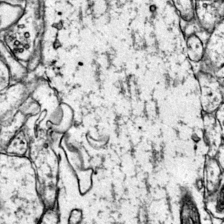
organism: Mouse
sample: Primary visual cortex